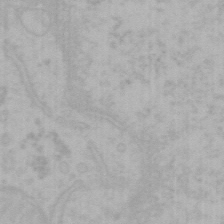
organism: Mouse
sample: Choroid plexus